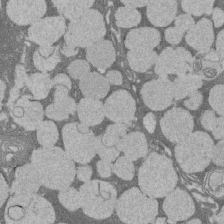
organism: Rat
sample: Salivary granule